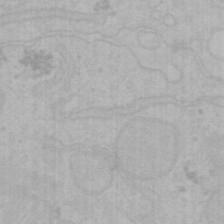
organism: Mouse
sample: Choroid plexus